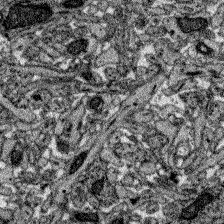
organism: Zebrafish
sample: Larval olfactory bulb